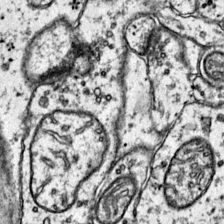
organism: Mouse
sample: Primary visual cortex